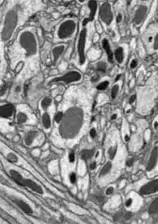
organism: Drosophila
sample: Optic lobe